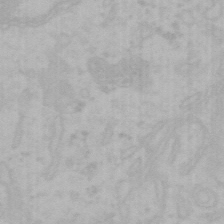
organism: Mouse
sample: Choroid plexus